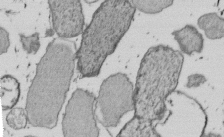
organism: E. coli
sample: Bacterial nucleoid